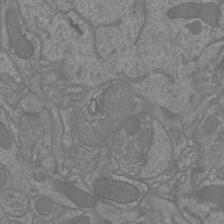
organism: Mouse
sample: Cortical neurons